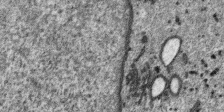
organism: Human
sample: Lung epithelial cells infected with SARS-CoV-2